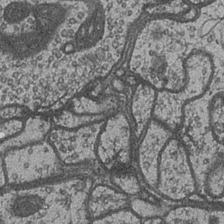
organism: Drosophila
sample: Optic medulla